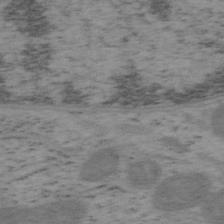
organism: Mouse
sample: OT-I killer T cells with ID8 ovarian cancer cells